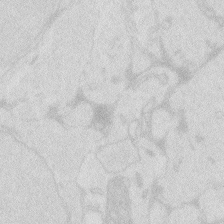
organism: Zebrafish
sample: Macrophage